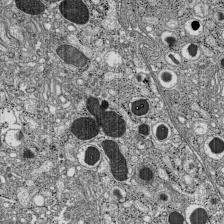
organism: C57BL Mouse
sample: Pancreatic islet